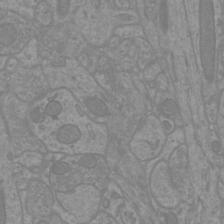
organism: Mouse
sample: Cortical neurons